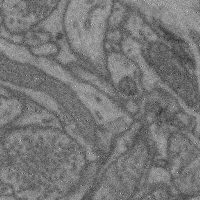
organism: Mouse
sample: Cerebral cortex